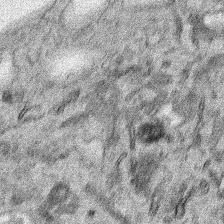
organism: Human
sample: Mitochondria in HCT116 cells